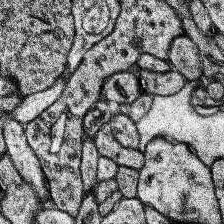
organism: Human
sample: Temporal Lobe